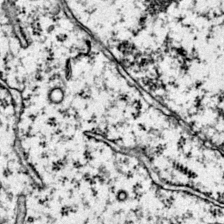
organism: Mouse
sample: Primary visual cortex